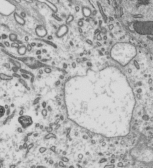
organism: Mouse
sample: Mouse epididymis efferent ductule cilia